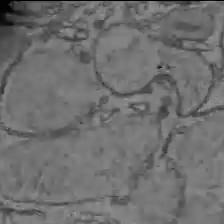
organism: C57BL Mouse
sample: Liver